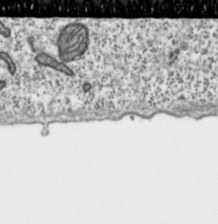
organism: Toxoplasma gondii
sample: Parasites in a vacuole inside a host cell